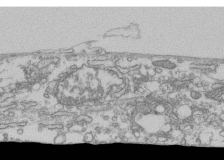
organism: Human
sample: Fibroblast cells